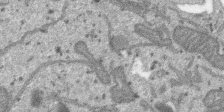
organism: Human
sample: Lung epithelial cells infected with SARS-CoV-2